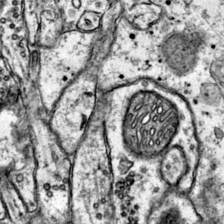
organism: Mouse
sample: Primary visual cortex